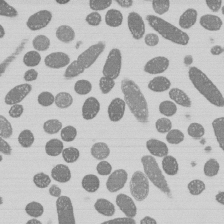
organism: E. coli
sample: Bacterial nucleoid